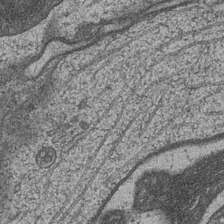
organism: Drosophila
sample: Optic medulla